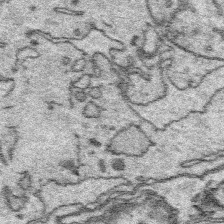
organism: Platynereis dumerilii